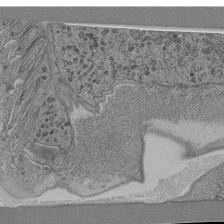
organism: C. elegans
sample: C. elegans pharynx